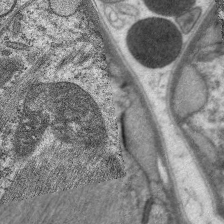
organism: C. elegans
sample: Pharynx